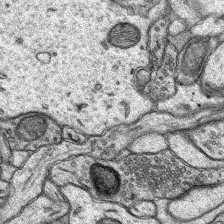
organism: Rat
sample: Hippocampus